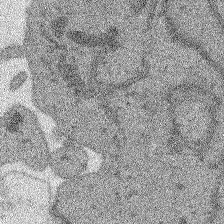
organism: Human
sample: HeLa cells